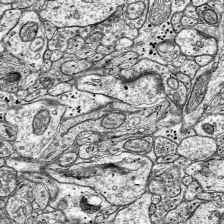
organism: Mouse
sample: Visual Cortex